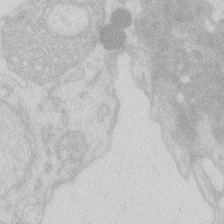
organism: Zebrafish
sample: Macrophage